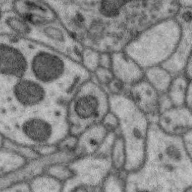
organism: Zebra finch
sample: Brain